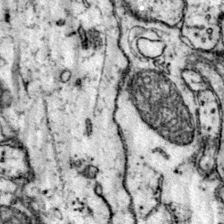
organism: Mouse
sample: Primary visual cortex